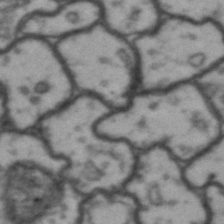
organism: Drosophila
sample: Brain